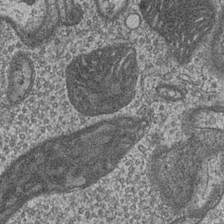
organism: Drosophila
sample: Optic medulla